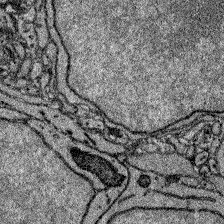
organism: Zebrafish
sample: Larval olfactory bulb